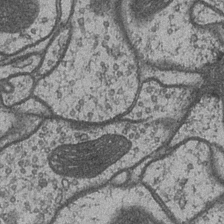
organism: Drosophila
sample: Optic medulla